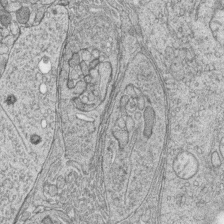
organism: Zebrafish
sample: synaptic ribbons in rod cells and cone cells